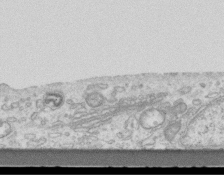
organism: Mouse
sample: Centriole in ependymal cells